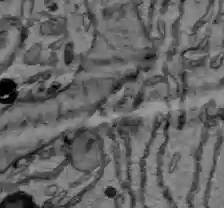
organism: C57BL Mouse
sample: Liver